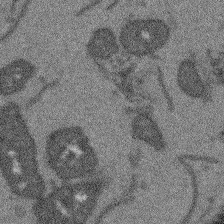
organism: Arabidopsis thaliana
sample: Root tip